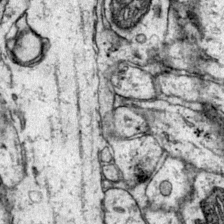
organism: Mouse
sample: Primary visual cortex